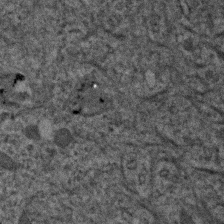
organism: Human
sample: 1205lu cells